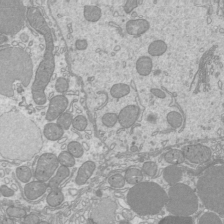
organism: Mouse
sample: Cilia; mouse epididymis